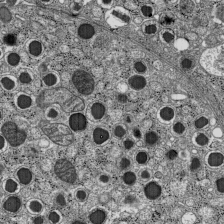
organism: C57BL Mouse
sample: Pancreatic islet